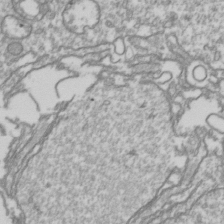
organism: Drosophila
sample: Cell division; meiosis; drosophila spermatocytes